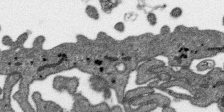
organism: Human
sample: Lung epithelial cells, uninfected (mock) control